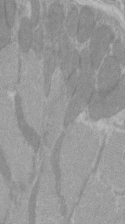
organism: C57BL Mouse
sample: Tibialis anterior muscle cell